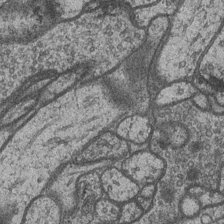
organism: Drosophila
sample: Optic medulla